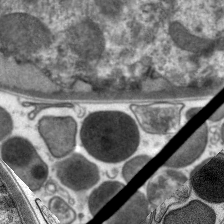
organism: C. elegans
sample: Pharynx